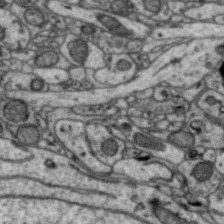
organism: Zebra finch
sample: Brain